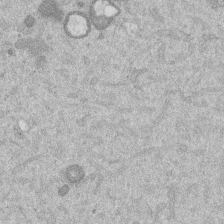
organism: Mouse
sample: Dividing mouse embryo 1 cell stage